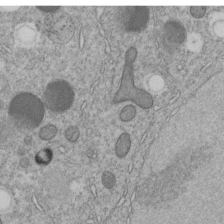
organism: C. elegans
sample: C. elegans embryo early stage